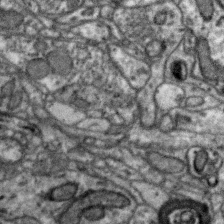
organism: Zebra finch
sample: Brain